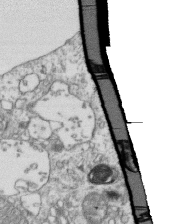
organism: Mouse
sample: Activated OT-1 CD8+ T cells